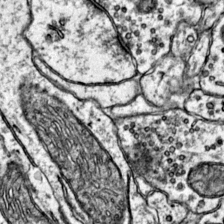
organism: Mouse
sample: Primary visual cortex